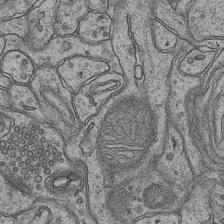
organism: Mouse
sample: CA1 Hippocampus